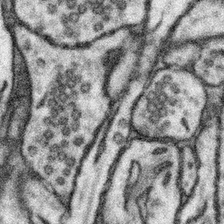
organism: Mouse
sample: Somatosensory cortex neuropil